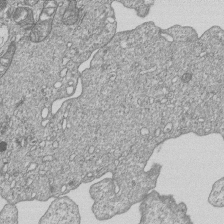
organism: Human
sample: MDA-MB-231 cells